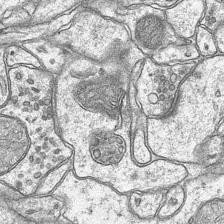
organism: Mouse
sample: CA1 Hippocampus